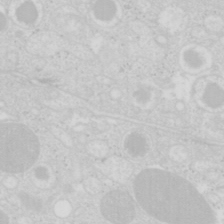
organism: Mouse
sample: Pancreas